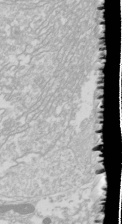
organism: Drosophila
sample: Cell division; meiosis; drosophila spermatocytes